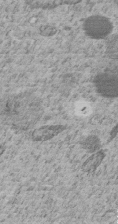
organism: C. elegans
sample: C. elegans embryo early stage